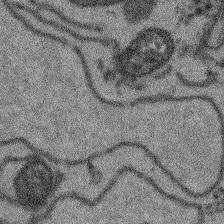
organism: Arabidopsis thaliana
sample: Root tip